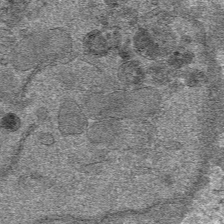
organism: Mouse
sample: Mouse hepatocytes